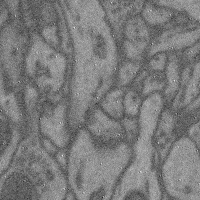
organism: Mouse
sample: Cerebral cortex